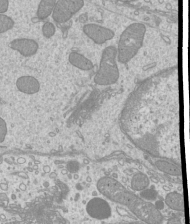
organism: Mouse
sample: Cilia; mouse epididymis